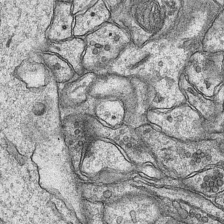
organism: Mouse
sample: CA1 Hippocampus